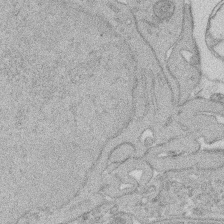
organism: Rat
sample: Salivary granule